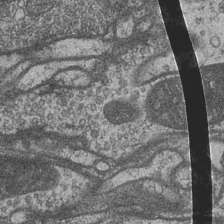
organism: Drosophila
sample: Optic medulla